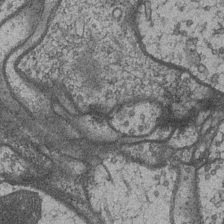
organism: Drosophila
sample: Optic medulla